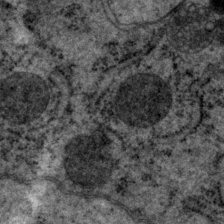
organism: P. pacificus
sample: Pharynx